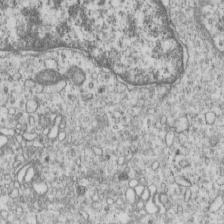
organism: Human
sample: MDA-MB-231 cells